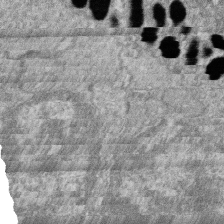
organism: Zebrafish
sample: Cilia; retinal pigment epithelium